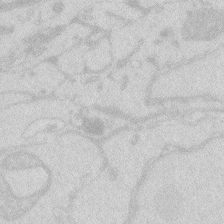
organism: Zebrafish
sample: Macrophage